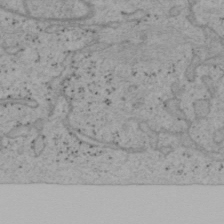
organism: Human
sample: HeLa cells